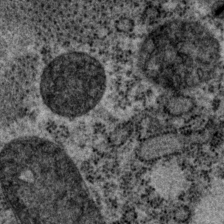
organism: P. pacificus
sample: Pharynx